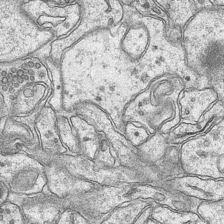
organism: Mouse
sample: CA1 Hippocampus